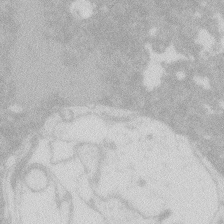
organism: Zebrafish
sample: Macrophage